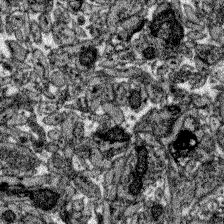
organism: Zebrafish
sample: Larval olfactory bulb